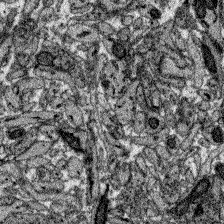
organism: Zebrafish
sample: Larval olfactory bulb